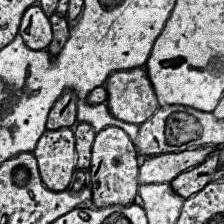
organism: Human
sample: Temporal Lobe